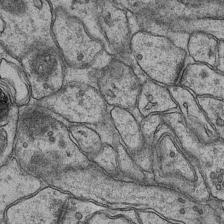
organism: Mouse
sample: CA1 Hippocampus